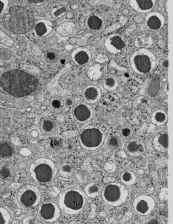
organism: C57BL Mouse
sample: Pancreatic islet